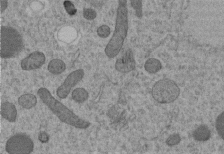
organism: C. elegans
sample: C. elegans embryo early stage